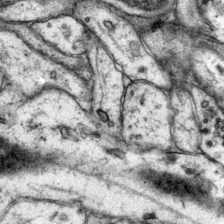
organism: Mouse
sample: Primary visual cortex